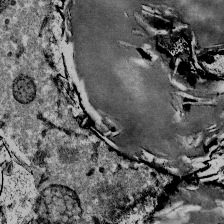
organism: Mouse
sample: Mouse Salivary gland